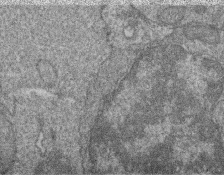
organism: Zebrafish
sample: Cilia; retinal pigment epithelium